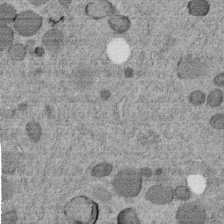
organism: C. elegans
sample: C. elegans embryo early stage